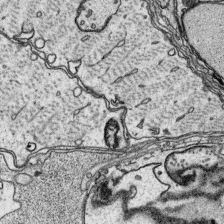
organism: Platynereis dumerilii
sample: Parapodia